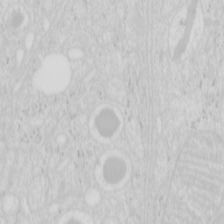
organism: Mouse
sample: Pancreas